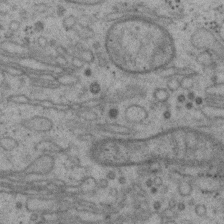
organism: Human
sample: HeLa cells